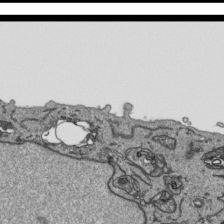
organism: Human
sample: Mitochondria in HCT116 cells